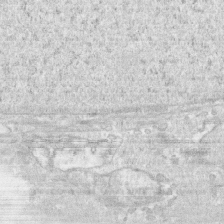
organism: Human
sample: CRL-1474